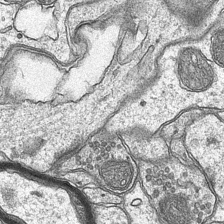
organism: Mouse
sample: CA1 Hippocampus